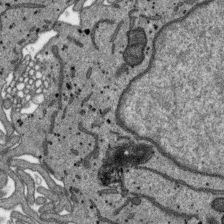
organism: Human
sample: Lung epithelial cells, uninfected (mock) control